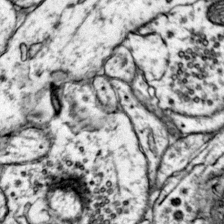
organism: Mouse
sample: Primary visual cortex